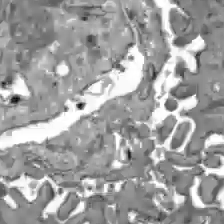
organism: C57BL Mouse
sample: Liver